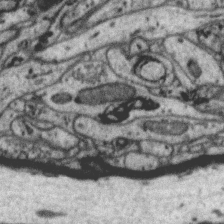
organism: Zebra finch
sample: Brain